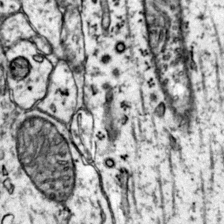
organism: Mouse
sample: Primary visual cortex